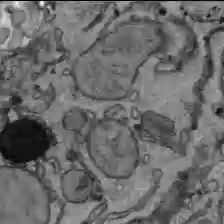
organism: C57BL Mouse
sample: Liver